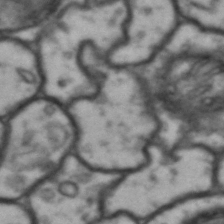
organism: Drosophila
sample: Brain